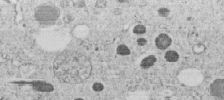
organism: C. elegans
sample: C. elegans embryo early stage